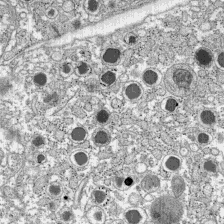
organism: C57BL Mouse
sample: Pancreatic islet